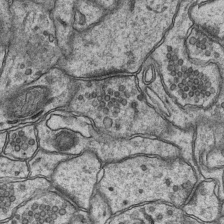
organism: Mouse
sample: CA1 Hippocampus